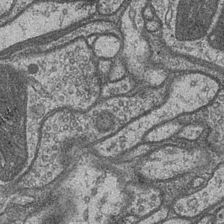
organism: Drosophila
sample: Optic medulla